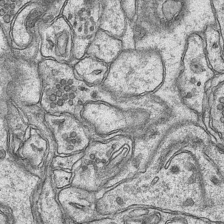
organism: Mouse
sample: CA1 Hippocampus